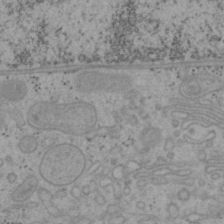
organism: Human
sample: HeLa cells